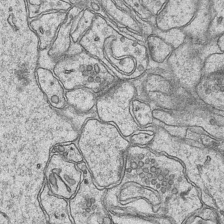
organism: Mouse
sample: CA1 Hippocampus